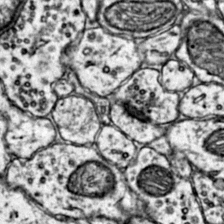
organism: Mouse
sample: Primary visual cortex